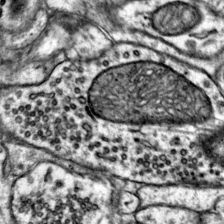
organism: Mouse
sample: Primary visual cortex